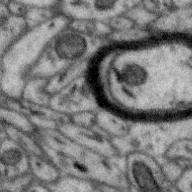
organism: Zebra finch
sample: Brain